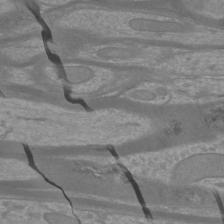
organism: Mouse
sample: Cortical neurons